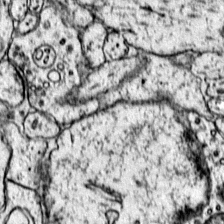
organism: Mouse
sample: Primary visual cortex